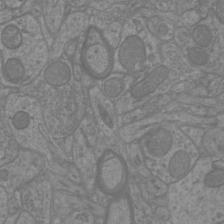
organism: Mouse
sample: Cortical neurons